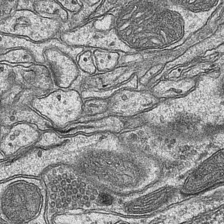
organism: Mouse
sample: CA1 Hippocampus